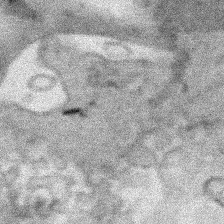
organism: Human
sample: Mitochondria in HCT116 cells